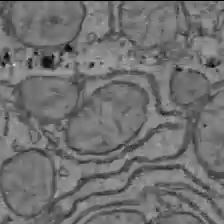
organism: C57BL Mouse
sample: Liver